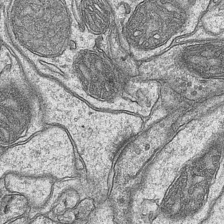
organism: Mouse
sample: CA1 Hippocampus